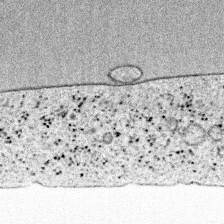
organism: Human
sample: HeLa cells